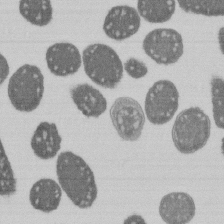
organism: E. coli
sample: Bacterial nucleoid